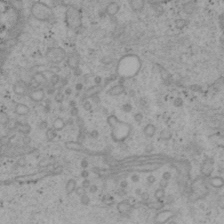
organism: Human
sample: HeLa cells